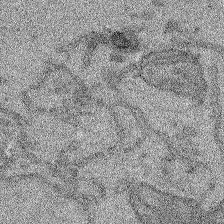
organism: Human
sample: HeLa cells